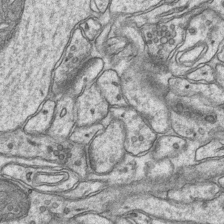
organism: Mouse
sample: CA1 Hippocampus